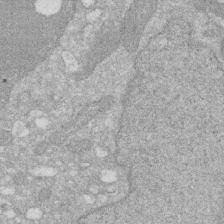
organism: Human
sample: HIV infected U937 cells